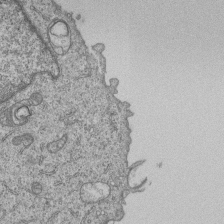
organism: Human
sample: MDA-MB-231 cells